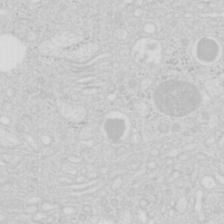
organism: Mouse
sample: Pancreas